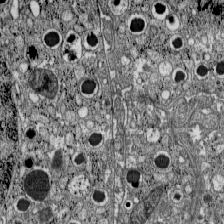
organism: C57BL Mouse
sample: Pancreatic islet